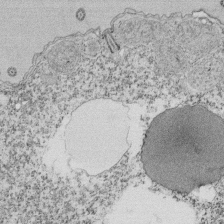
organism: Tetrahymena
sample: Cilia in tetrahymena